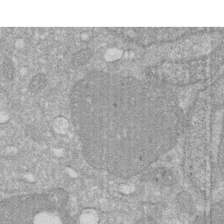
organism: Human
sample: HIV infected U937 cells